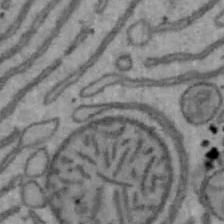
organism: Mouse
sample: Liver